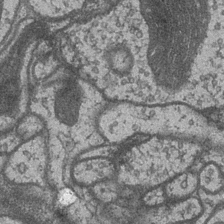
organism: Drosophila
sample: Optic medulla